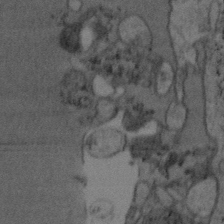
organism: Human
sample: HeLa cells